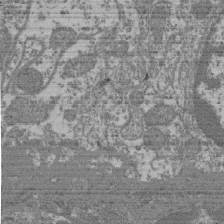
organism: Mouse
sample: Glomerulus